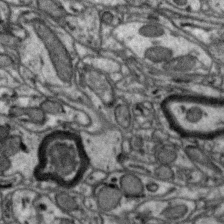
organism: Zebra finch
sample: Brain